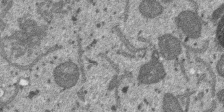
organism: Human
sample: Lung epithelial cells infected with SARS-CoV-2